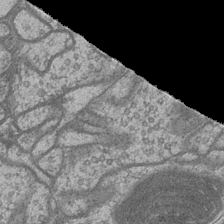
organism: Drosophila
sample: Optic medulla